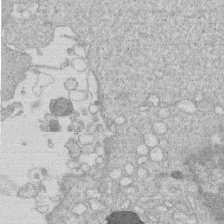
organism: Human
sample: Macrophage cells